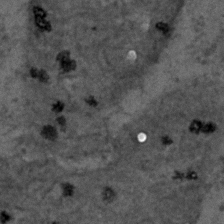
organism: C. elegans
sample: C. elegans embryo